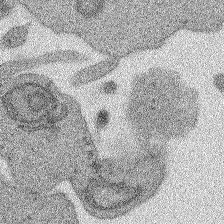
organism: Human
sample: HeLa cells